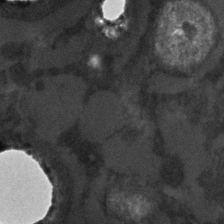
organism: C. elegans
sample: C. elegans embryo